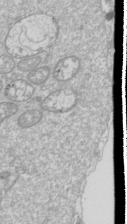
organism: Drosophila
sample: Cell division; meiosis; drosophila spermatocytes